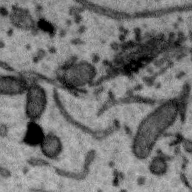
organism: Zebra finch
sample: Brain